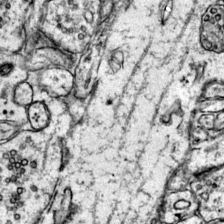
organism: Mouse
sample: Primary visual cortex